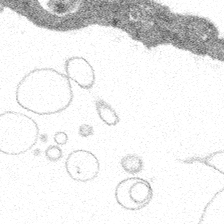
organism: Spongilla lacustris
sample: Multiple